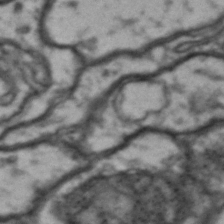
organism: Drosophila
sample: Brain